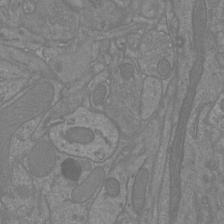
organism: Mouse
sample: Cortical neurons